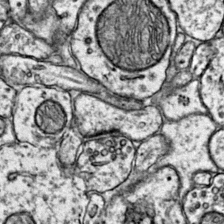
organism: Mouse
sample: Primary visual cortex